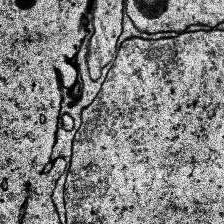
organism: Human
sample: Temporal Lobe